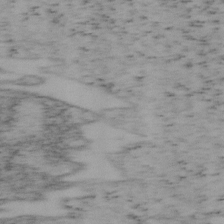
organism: Mouse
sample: OT-I killer T cells with ID8 ovarian cancer cells